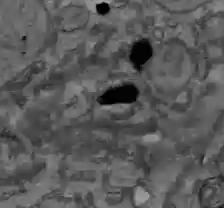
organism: C57BL Mouse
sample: Liver